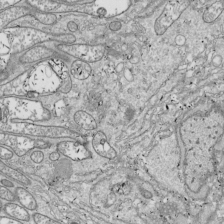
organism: Drosophila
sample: Cell division; meiosis; drosophila spermatocytes